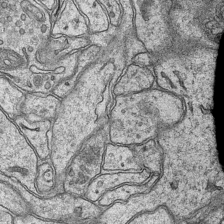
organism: Mouse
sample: CA1 Hippocampus